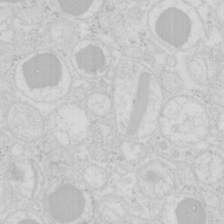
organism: Mouse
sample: Pancreas